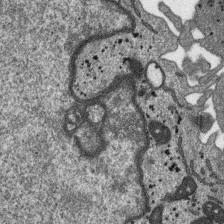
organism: Human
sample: Lung epithelial cells infected with SARS-CoV-2